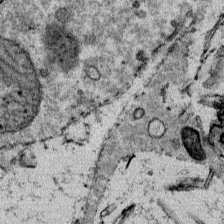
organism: Mouse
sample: Mouse Salivary gland